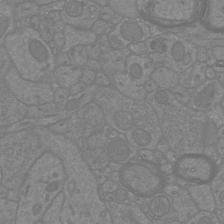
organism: Mouse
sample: Cortical neurons